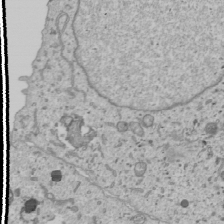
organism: Human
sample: Mitochondria in U2OS cells